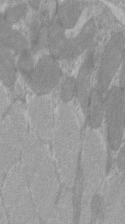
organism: C57BL Mouse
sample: Tibialis anterior muscle cell